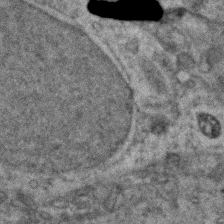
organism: Zebrafish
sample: Zebrafish embryo